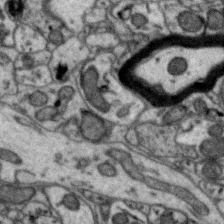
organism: Zebra finch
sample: Brain